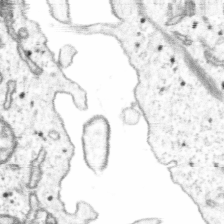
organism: Human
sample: HeLa cells